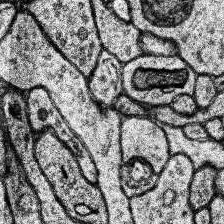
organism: Human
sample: Temporal Lobe